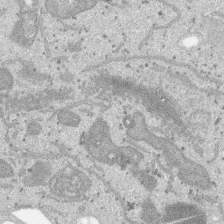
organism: Human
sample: Lung epithelial cells infected with SARS-CoV-2